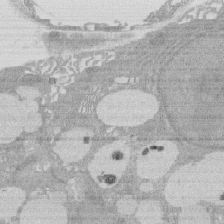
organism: Rat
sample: Salivary granule